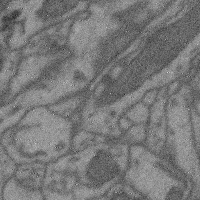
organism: Mouse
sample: Cerebral cortex